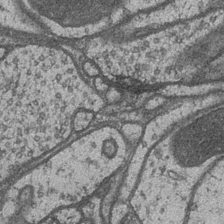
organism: Drosophila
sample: Optic medulla